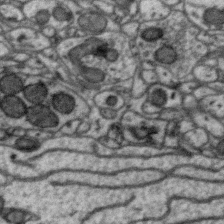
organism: Zebra finch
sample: Brain